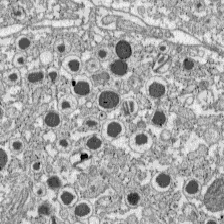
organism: C57BL Mouse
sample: Pancreatic islet